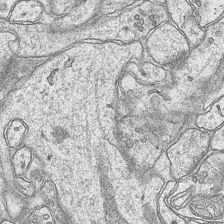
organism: Mouse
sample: CA1 Hippocampus